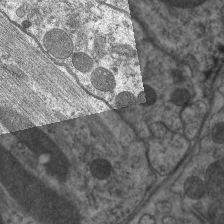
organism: C. elegans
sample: Pharynx